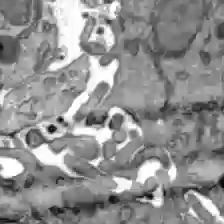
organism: C57BL Mouse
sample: Liver